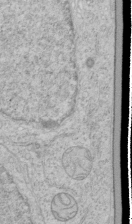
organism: Human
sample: Mitochondria in HCT116 cells